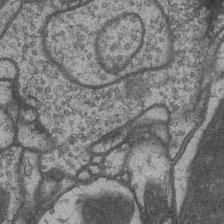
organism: Drosophila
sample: Optic medulla